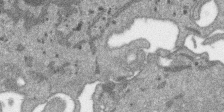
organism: Human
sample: Lung epithelial cells infected with SARS-CoV-2